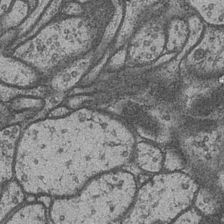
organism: Drosophila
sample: Optic medulla